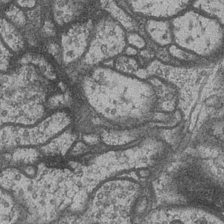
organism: Drosophila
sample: Optic medulla